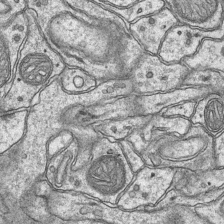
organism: Mouse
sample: CA1 Hippocampus